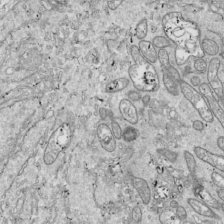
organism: Drosophila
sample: Cell division; meiosis; drosophila spermatocytes